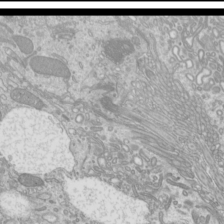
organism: Mouse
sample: Cilia; mouse epididymis